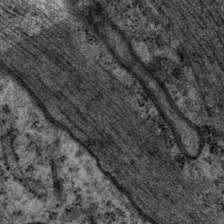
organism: P. pacificus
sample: Pharynx